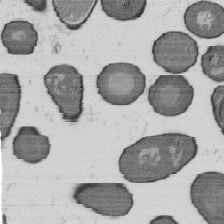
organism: B. subtilis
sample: Bacterial spore